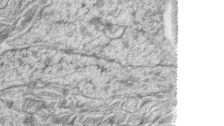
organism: Zebrafish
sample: synaptic ribbons in rod cells and cone cells